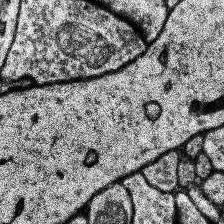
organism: Human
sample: Temporal Lobe